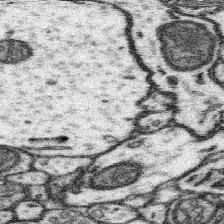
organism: Mouse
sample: Somatosensory cortex neuropil